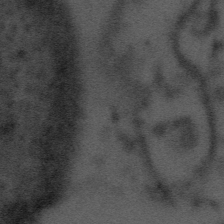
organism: Tuwongella immobilis